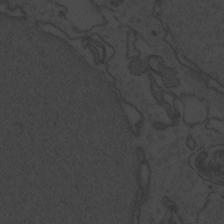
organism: Zebrafish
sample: Macrophage infected with Toxoplasma gondii